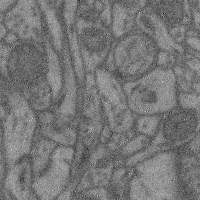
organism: Mouse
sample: Cerebral cortex